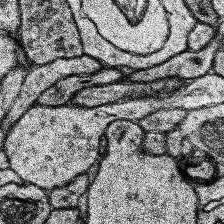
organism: Human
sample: Temporal Lobe